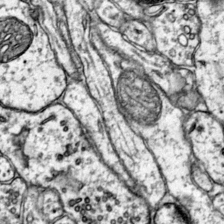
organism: Mouse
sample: Primary visual cortex